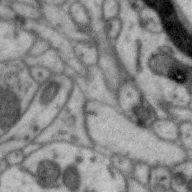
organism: Zebra finch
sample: Brain